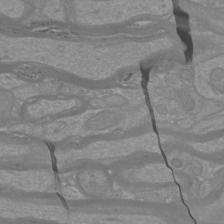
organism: Mouse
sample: Cortical neurons